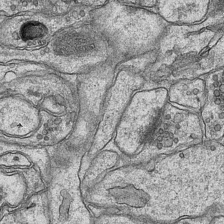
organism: Mouse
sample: CA1 Hippocampus